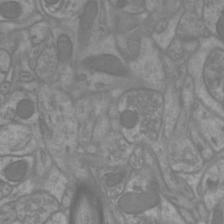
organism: Mouse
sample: Cortical neurons